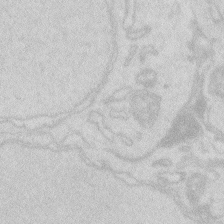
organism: Zebrafish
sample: Macrophage